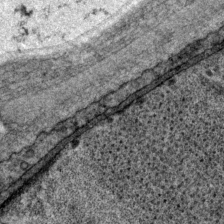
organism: P. pacificus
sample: Pharynx